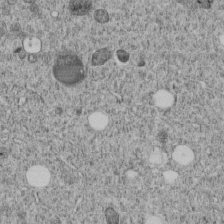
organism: C. elegans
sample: C. elegans embryo early stage